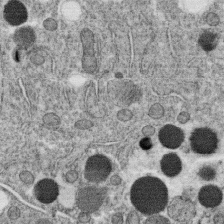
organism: C. elegans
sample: C. elegans oocyte; sperm cells